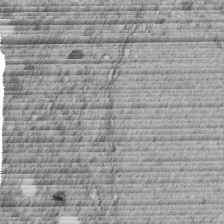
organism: C. elegans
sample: C. elegans embryo early stage